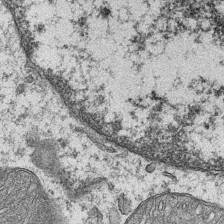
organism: Mouse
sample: CA1 Hippocampus